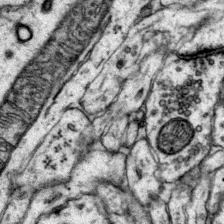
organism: Mouse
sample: Primary visual cortex